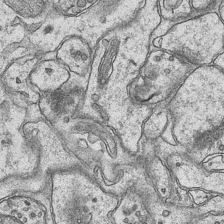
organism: Mouse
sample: CA1 Hippocampus